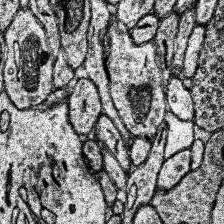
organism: Human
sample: Temporal Lobe